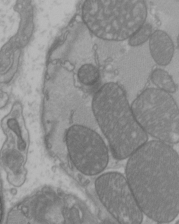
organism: C57BL Mouse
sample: Heart